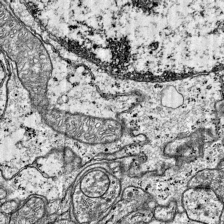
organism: Mouse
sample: Visual Cortex